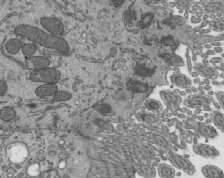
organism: Mouse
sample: Mouse epididymis efferent ductule cilia